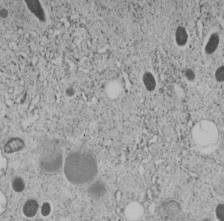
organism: C. elegans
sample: C. elegans embryo early stage